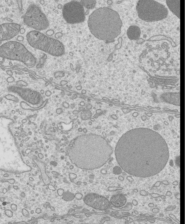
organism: Mouse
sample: Cilia; mouse epididymis